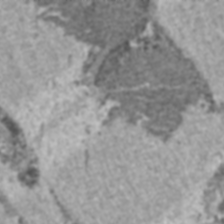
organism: C57BL Mouse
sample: Heart